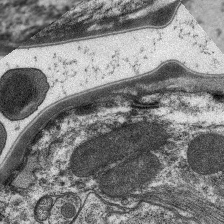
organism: C. elegans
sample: Pharynx